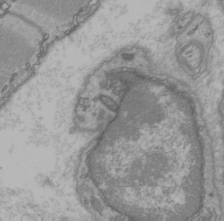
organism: C57BL Mouse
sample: Heart